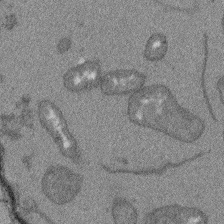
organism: Arabidopsis thaliana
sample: Root tip